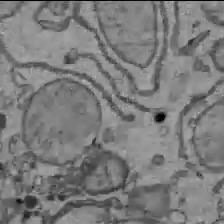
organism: C57BL Mouse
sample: Liver